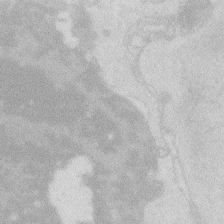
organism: Zebrafish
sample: Macrophage